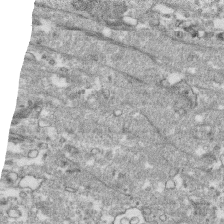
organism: Human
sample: CRL-1474